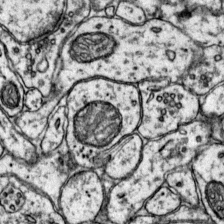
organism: Mouse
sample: Primary visual cortex